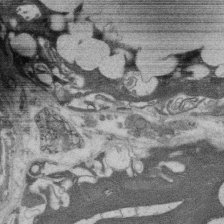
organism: Rat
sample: Salivary granule